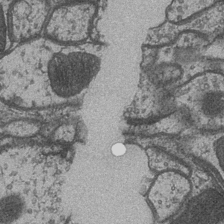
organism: Drosophila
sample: Optic medulla